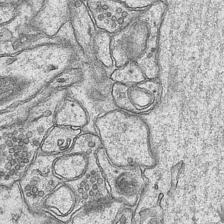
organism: Mouse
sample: CA1 Hippocampus